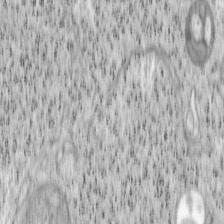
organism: Human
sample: HeLa cells